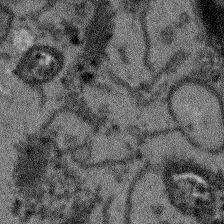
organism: Arabidopsis thaliana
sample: Root tip